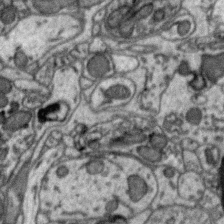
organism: Zebra finch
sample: Brain